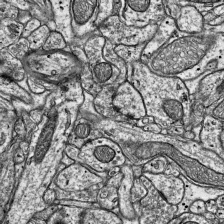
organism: Mouse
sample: Visual Cortex